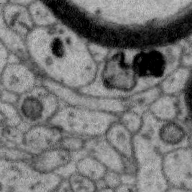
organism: Zebra finch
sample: Brain